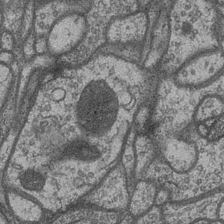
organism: Drosophila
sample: Optic medulla